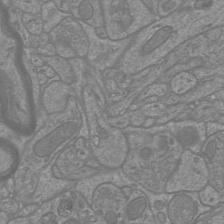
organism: Mouse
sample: Cortical neurons